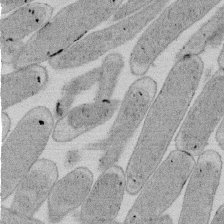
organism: E. coli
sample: Bacterial nucleoid